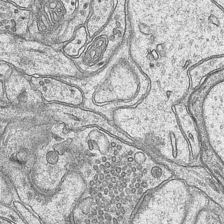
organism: Mouse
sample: CA1 Hippocampus